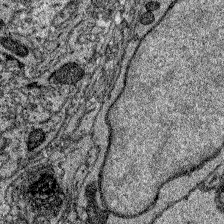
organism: Zebrafish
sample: Larval olfactory bulb